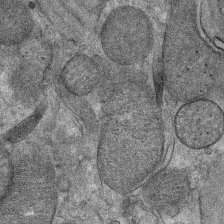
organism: Mouse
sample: Mouse Salivary gland